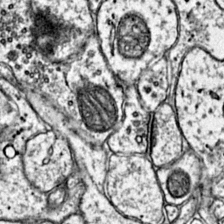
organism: Mouse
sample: Primary visual cortex